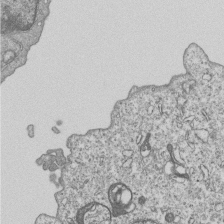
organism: Human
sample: MDA-MB-231 cells